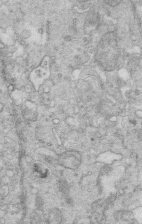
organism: Mouse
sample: Multiciliated cells